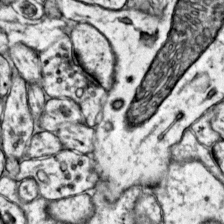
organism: Mouse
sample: Primary visual cortex